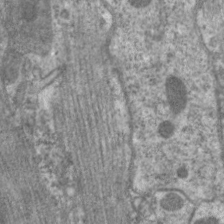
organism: C. elegans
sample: Pharynx